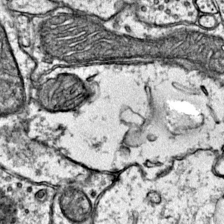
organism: Mouse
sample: Primary visual cortex